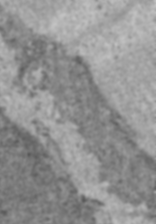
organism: C57BL Mouse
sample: Heart